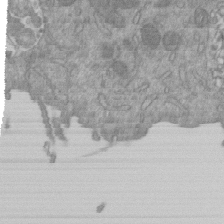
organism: Mouse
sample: ED-1 cell nuclei; centrioles